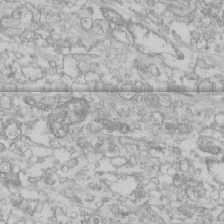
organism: Human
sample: CRL-1474